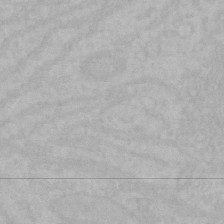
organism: Mouse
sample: Choroid plexus